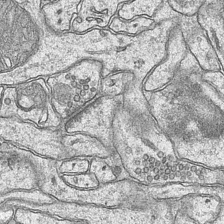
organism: Mouse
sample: CA1 Hippocampus